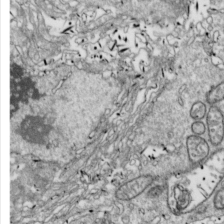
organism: Drosophila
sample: Cell division; meiosis; drosophila spermatocytes